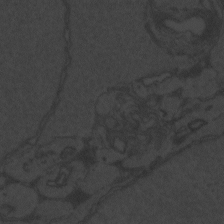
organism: Zebrafish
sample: Macrophage infected with Toxoplasma gondii